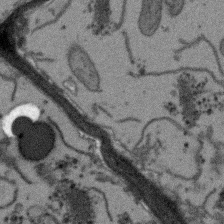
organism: Arabidopsis thaliana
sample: Root tip